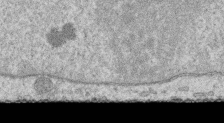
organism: Human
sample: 1205lu cells